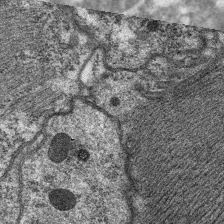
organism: C. elegans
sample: Pharynx